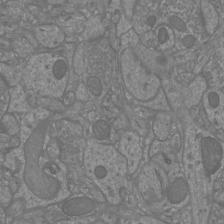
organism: Mouse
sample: Cortical neurons